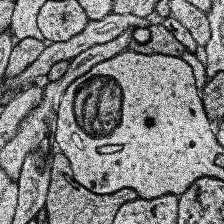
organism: Human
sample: Temporal Lobe